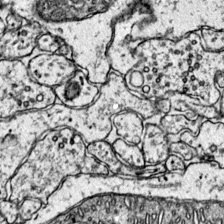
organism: Mouse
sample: Primary visual cortex